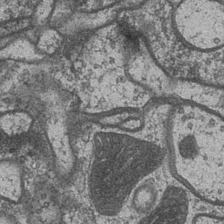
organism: Drosophila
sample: Optic medulla